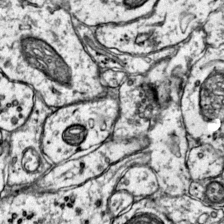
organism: Mouse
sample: Primary visual cortex